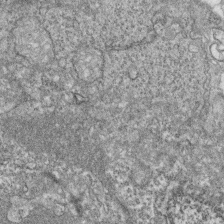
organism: Zebrafish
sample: Cilia; retinal pigment epithelium